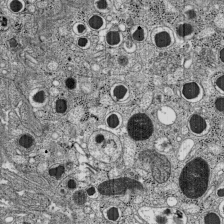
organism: C57BL Mouse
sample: Pancreatic islet